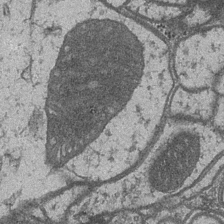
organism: Drosophila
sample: Optic medulla